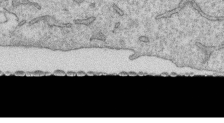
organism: Human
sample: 1205lu cells